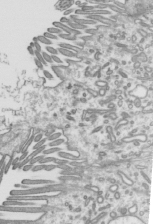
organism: Mouse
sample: Mouse epididymis efferent ductule cilia